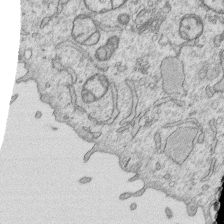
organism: Human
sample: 1205lu cells